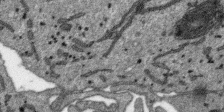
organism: Human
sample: Lung epithelial cells, uninfected (mock) control